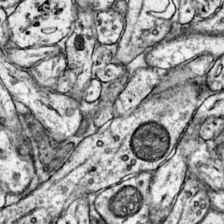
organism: Mouse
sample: Primary visual cortex